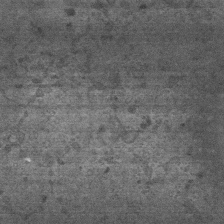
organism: Mouse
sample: Centriole in ependymal cells